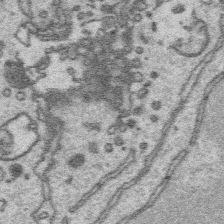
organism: Platynereis dumerilii